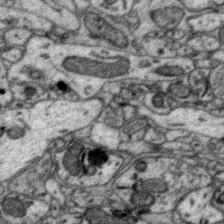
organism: Zebra finch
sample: Brain